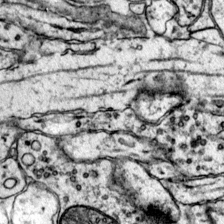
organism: Mouse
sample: Primary visual cortex